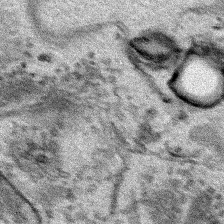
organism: Human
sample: Mitochondria in HCT116 cells